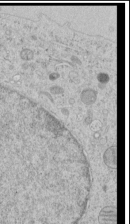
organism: Human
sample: Mitochondria in HCT116 cells